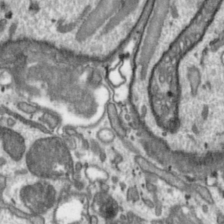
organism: Toxoplasma gondii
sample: Parasites in a vacuole inside a host cell